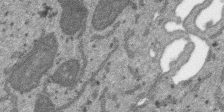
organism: Human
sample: Lung epithelial cells infected with SARS-CoV-2